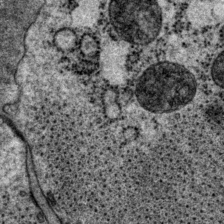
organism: P. pacificus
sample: Pharynx